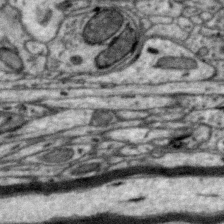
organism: Zebra finch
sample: Brain